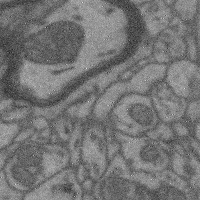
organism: Mouse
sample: Cerebral cortex